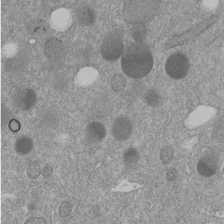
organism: C. elegans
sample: C. elegans embryo early stage